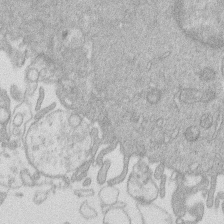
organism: Human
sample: Macrophage cells